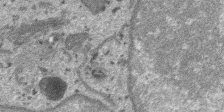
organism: Human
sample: Lung epithelial cells infected with SARS-CoV-2